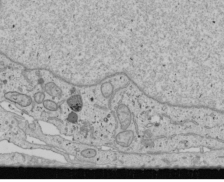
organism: Human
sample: Mitochondria in U2OS cells